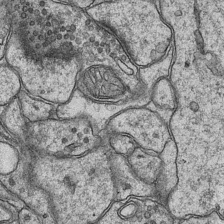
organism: Mouse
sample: CA1 Hippocampus